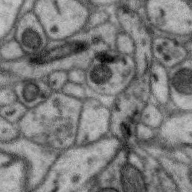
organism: Zebra finch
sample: Brain